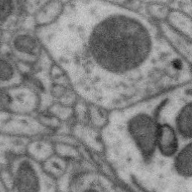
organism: Zebra finch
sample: Brain